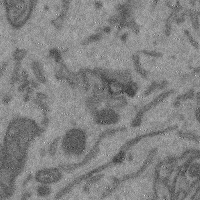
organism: Mouse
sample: Cerebral cortex